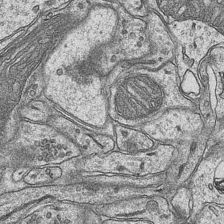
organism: Mouse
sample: CA1 Hippocampus